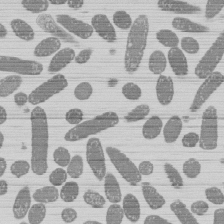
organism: E. coli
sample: Bacterial nucleoid